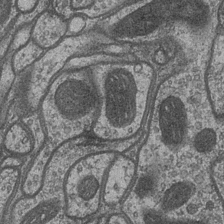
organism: Drosophila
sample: Optic medulla